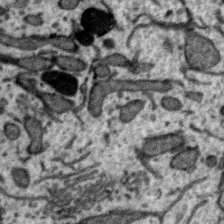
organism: Zebra finch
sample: Brain